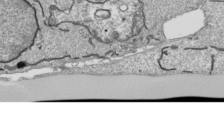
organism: Human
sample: Mitochondria in HCT116 cells